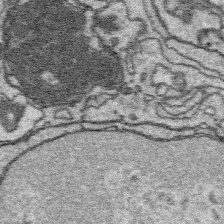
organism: Platynereis dumerilii